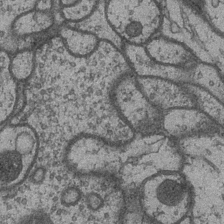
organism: Drosophila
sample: Optic medulla